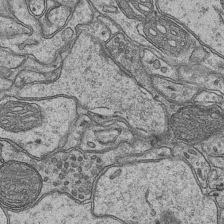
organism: Mouse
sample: CA1 Hippocampus